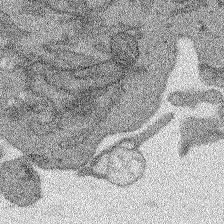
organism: Human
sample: HeLa cells